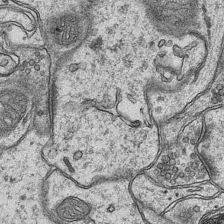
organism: Mouse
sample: CA1 Hippocampus